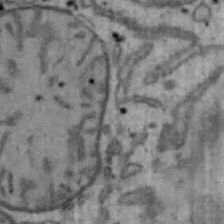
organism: Mouse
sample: Liver